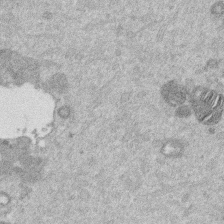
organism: Mouse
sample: Dividing mouse embryo 1 cell stage